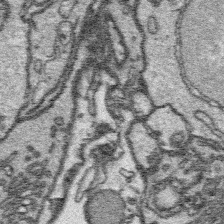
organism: Platynereis dumerilii